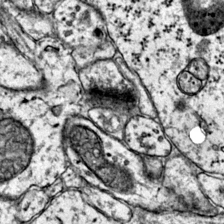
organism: Mouse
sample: Primary visual cortex